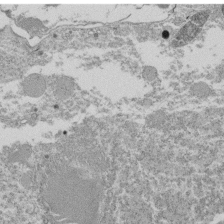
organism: Tetrahymena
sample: Cilia in tetrahymena